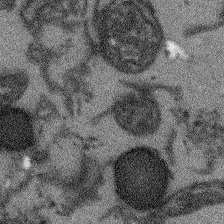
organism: Arabidopsis thaliana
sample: Root tip